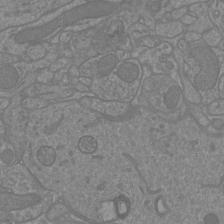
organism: Mouse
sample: Cortical neurons